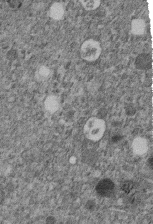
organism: C. elegans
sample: C. elegans embryo early stage